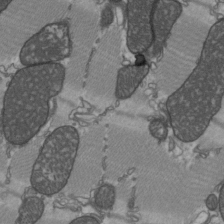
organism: C57BL Mouse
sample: Heart